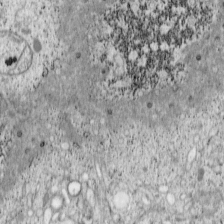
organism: African green monkey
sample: COS-7 cells